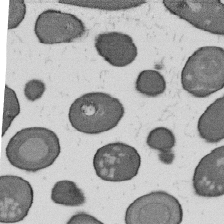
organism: B. subtilis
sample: Bacterial spore